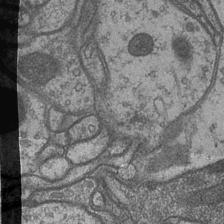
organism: Drosophila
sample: Optic medulla